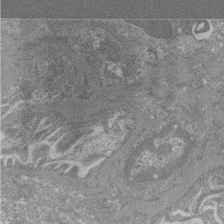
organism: Mouse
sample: Glomerulus